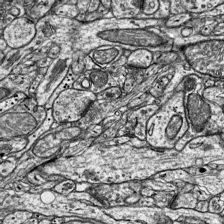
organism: Mouse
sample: Visual Cortex